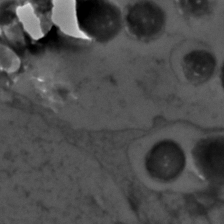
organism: Zebrafish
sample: Zebrafish embryo